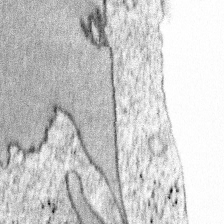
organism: Human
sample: HeLa cells